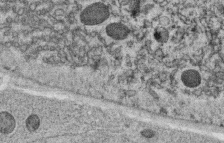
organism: C. elegans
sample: C. elegans oocyte; sperm cells